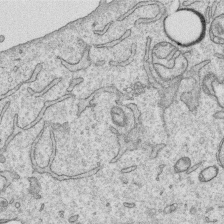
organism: Human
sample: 1205lu cells